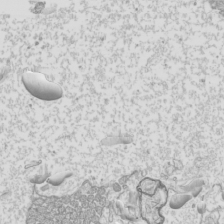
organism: Mouse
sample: Cilia; mouse epididymis